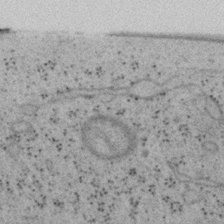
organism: Human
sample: HeLa cells